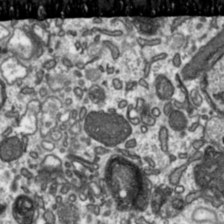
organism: Toxoplasma gondii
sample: Parasites in a vacuole inside a host cell